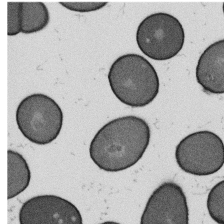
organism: B. subtilis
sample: Bacterial spore